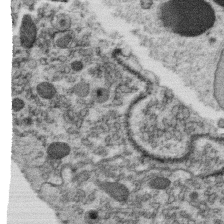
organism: C. elegans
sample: C. elegans oocyte; sperm cells